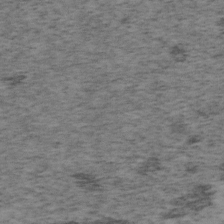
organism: Mouse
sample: OT-I killer T cells with ID8 ovarian cancer cells